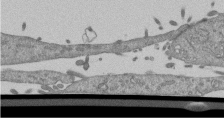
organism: Mouse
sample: ED-1 cell nuclei; centrioles